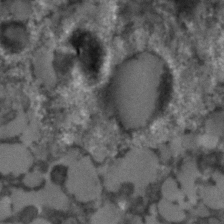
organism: C. elegans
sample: C. elegans embryo